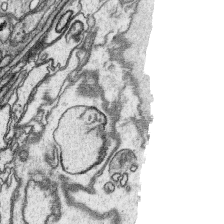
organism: Platynereis dumerilii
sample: Parapodia